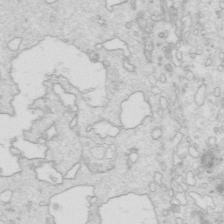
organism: Mouse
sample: Multiciliated cells